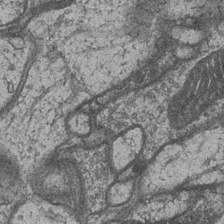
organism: Drosophila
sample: Optic medulla